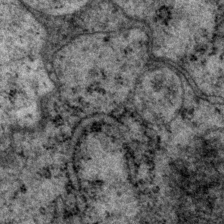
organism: P. pacificus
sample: Pharynx